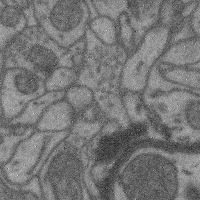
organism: Mouse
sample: Cerebral cortex